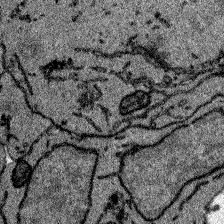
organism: Zebrafish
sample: Larval olfactory bulb